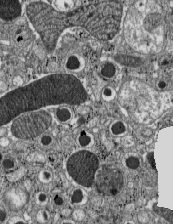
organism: C57BL Mouse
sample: Pancreatic islet